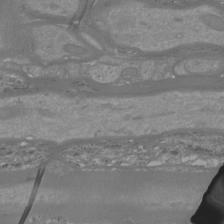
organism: Mouse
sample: Cortical neurons